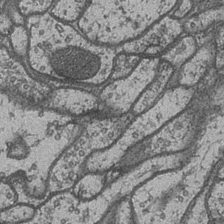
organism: Drosophila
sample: Optic medulla